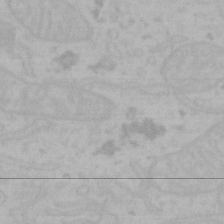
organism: Mouse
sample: Choroid plexus